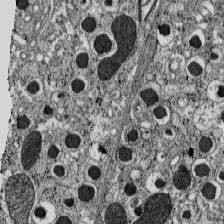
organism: C57BL Mouse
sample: Pancreatic islet